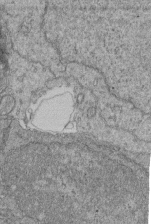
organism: Human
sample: Retinal organoid Rod and Cone cells